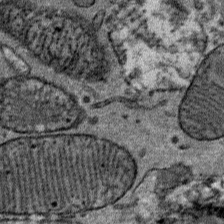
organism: Mouse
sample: Mouse Salivary gland